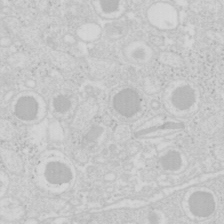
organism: Mouse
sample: Pancreas